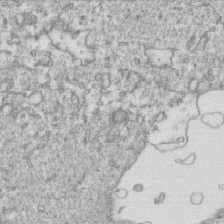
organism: Mouse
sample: Activated OT-1 CD8+ T cells